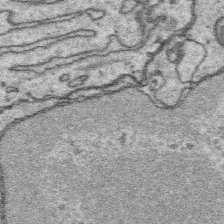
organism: Platynereis dumerilii